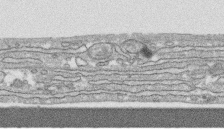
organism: Human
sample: CRL-1474